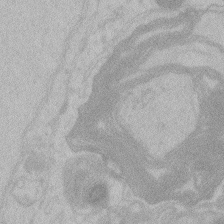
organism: Zebrafish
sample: Macrophage infected with Toxoplasma gondii